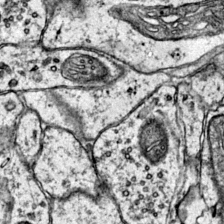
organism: Mouse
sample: Primary visual cortex